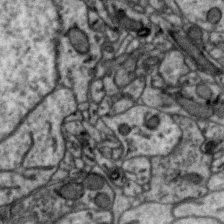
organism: Zebra finch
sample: Brain